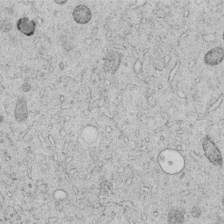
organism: C. elegans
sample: C. elegans embryo early stage